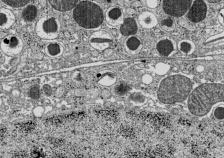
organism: C57BL Mouse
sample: Pancreatic islet